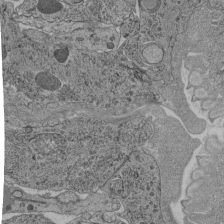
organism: C. elegans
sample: C. elegans pharynx